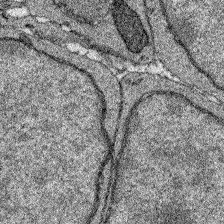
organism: Zebrafish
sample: Larval olfactory bulb